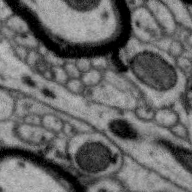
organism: Zebra finch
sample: Brain